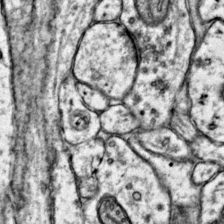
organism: Mouse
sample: Primary visual cortex